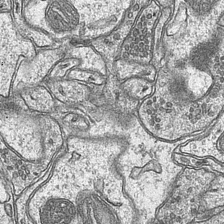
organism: Mouse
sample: CA1 Hippocampus